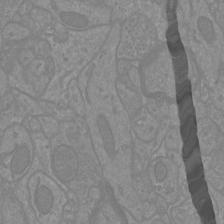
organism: Mouse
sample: Cortical neurons